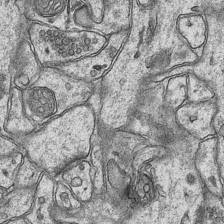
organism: Mouse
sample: CA1 Hippocampus